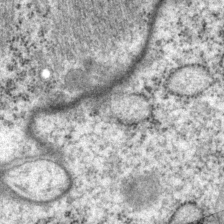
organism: P. pacificus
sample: Pharynx